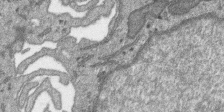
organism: Human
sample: Lung epithelial cells infected with SARS-CoV-2